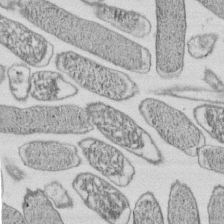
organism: E. coli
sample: Bacterial nucleoid